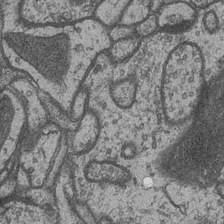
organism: Drosophila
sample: Optic medulla